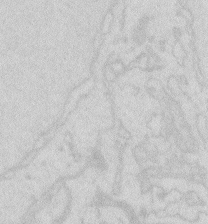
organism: Zebrafish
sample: Macrophage